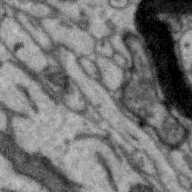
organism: Zebra finch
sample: Brain